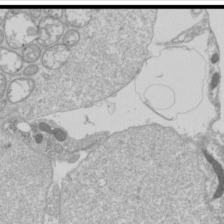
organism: Drosophila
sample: Cell division; meiosis; drosophila spermatocytes